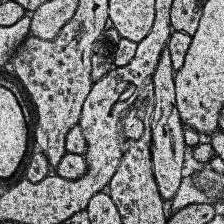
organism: Human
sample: Temporal Lobe